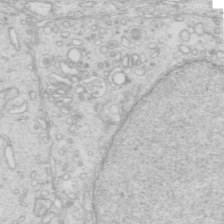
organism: Mouse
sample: Multiciliated cells